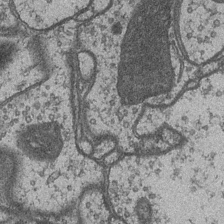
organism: Drosophila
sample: Optic medulla